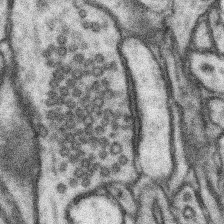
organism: Mouse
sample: Somatosensory cortex neuropil